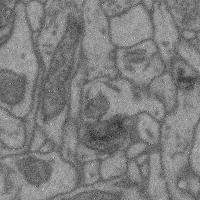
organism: Mouse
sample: Cerebral cortex